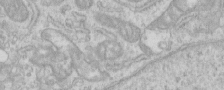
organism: Human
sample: Centriole in RPE cells